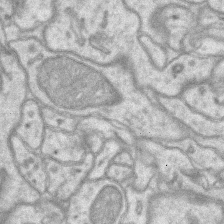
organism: Mouse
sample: CA1 Hippocampus